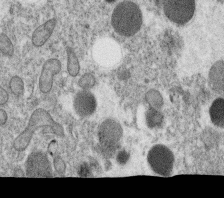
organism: C. elegans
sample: C. elegans oocyte; sperm cells